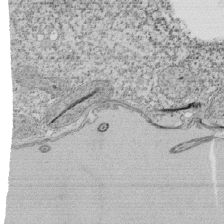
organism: Tetrahymena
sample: Cilia in tetrahymena